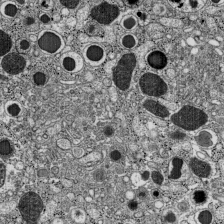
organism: C57BL Mouse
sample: Pancreatic islet